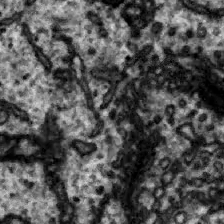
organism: Human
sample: HeLa cells